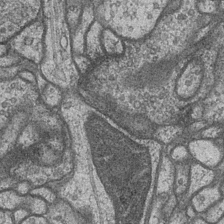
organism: Drosophila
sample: Optic medulla